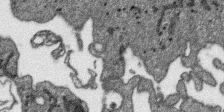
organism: Human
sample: Lung epithelial cells infected with SARS-CoV-2